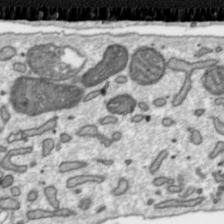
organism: Toxoplasma gondii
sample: Parasites in a vacuole inside a host cell